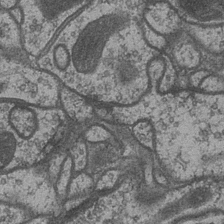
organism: Drosophila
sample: Optic medulla